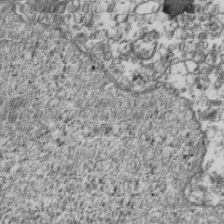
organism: Human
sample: Activated Jurkat CD4+ T cells